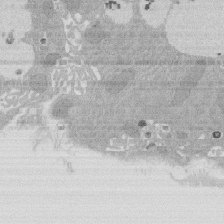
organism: Rat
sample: Salivary granule